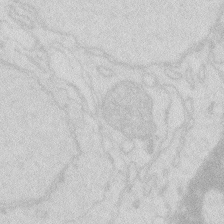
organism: Zebrafish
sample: Macrophage